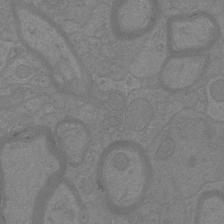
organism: Mouse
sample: Cortical neurons